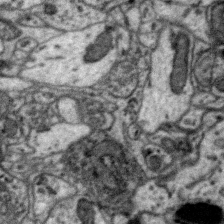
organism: Zebra finch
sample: Brain